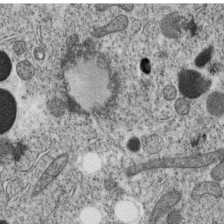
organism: C. elegans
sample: C. elegans oocyte; sperm cells